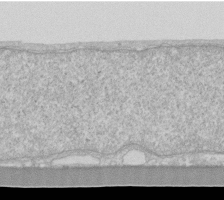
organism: Human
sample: Fibroblast cells